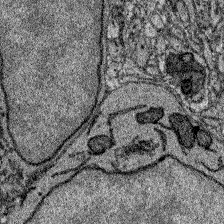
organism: Zebrafish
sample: Larval olfactory bulb